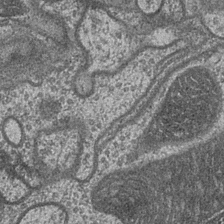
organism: Drosophila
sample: Optic medulla